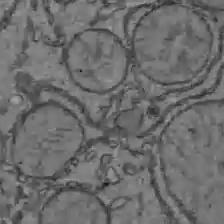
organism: C57BL Mouse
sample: Liver